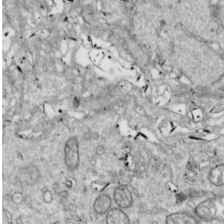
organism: Drosophila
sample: Cell division; meiosis; drosophila spermatocytes